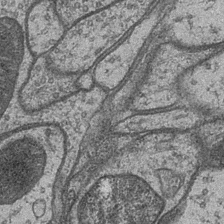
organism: Drosophila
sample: Optic medulla